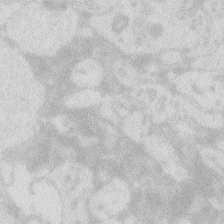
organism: Zebrafish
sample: Macrophage